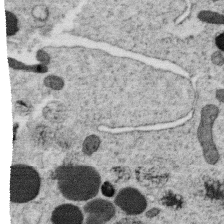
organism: C. elegans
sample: C. elegans oocyte; sperm cells